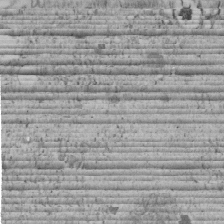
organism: C. elegans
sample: C. elegans embryo early stage